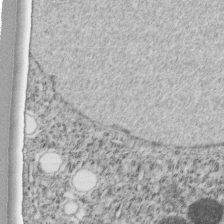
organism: C. elegans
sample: C. elegans embryo early stage